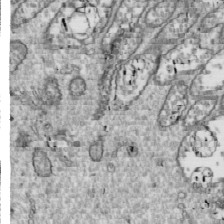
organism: Drosophila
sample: Cell division; meiosis; drosophila spermatocytes